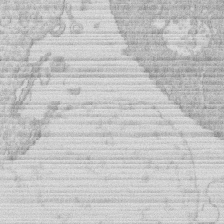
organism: Human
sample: Macrophage cells